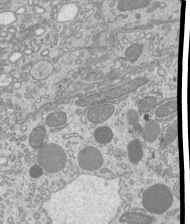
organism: Mouse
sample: Cilia; mouse epididymis